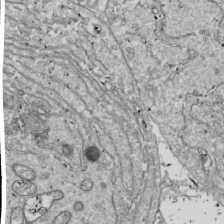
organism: Drosophila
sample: Cell division; meiosis; drosophila spermatocytes